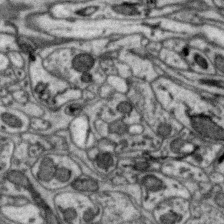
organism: Zebra finch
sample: Brain